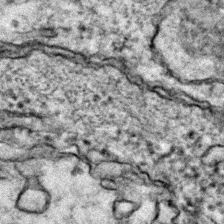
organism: Zebrafish